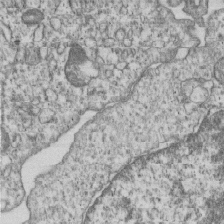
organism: Human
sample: MDA-MB-231 cells